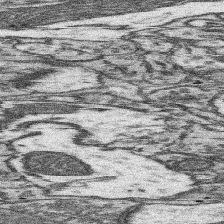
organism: Mouse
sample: Somatosensory cortex neuropil